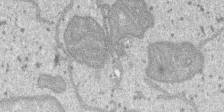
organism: Human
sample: Lung epithelial cells infected with SARS-CoV-2